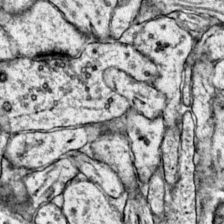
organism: Mouse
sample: Primary visual cortex